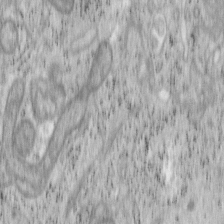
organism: Human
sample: HeLa cells